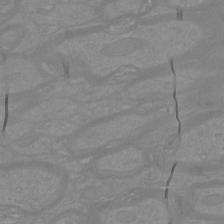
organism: Mouse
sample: Cortical neurons